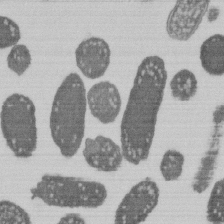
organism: E. coli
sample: Bacterial nucleoid